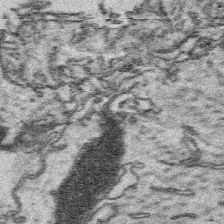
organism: Platynereis dumerilii